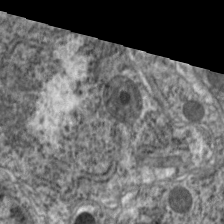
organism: C. elegans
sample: Pharynx